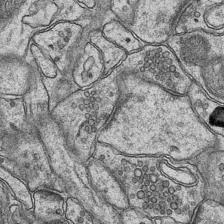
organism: Mouse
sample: CA1 Hippocampus